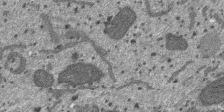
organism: Human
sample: Lung epithelial cells infected with SARS-CoV-2